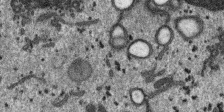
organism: Human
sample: Lung epithelial cells infected with SARS-CoV-2